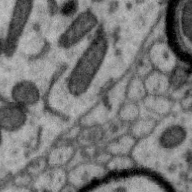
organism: Zebra finch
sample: Brain